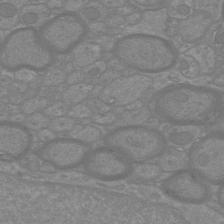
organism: Mouse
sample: Cortical neurons